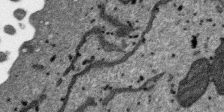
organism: Human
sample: Lung epithelial cells, uninfected (mock) control